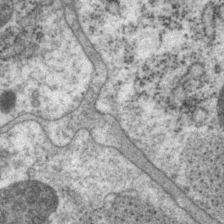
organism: P. pacificus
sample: Pharynx